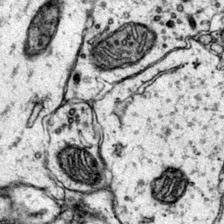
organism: Mouse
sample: Primary visual cortex